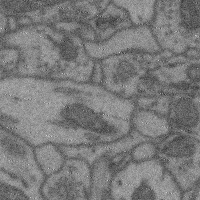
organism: Mouse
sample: Cerebral cortex